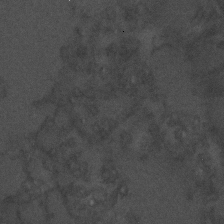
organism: C. elegans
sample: C. elegans embryo